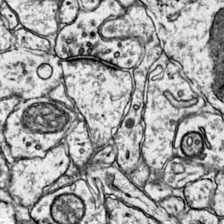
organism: Mouse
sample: Primary visual cortex